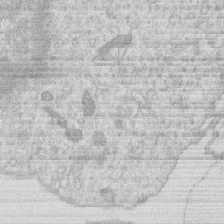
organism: Human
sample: Macrophage cells